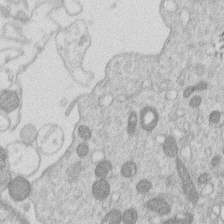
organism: Human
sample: Macrophage cells